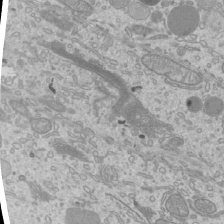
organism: Mouse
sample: Cilia; mouse epididymis